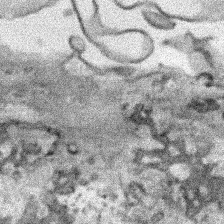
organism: Human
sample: Mitochondria in HCT116 cells